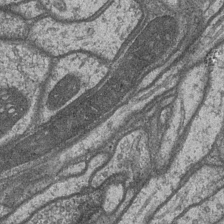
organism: Drosophila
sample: Optic medulla